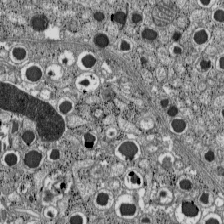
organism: C57BL Mouse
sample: Pancreatic islet